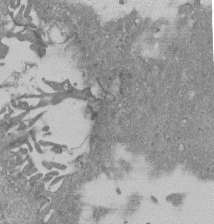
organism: Mouse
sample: ED-1 cell nuclei; centrioles